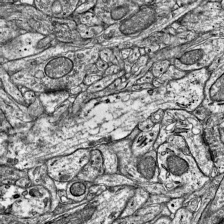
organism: Mouse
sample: Visual Cortex